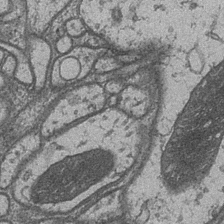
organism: Drosophila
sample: Optic medulla